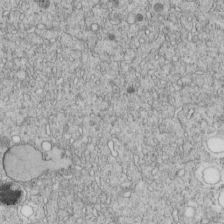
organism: C. elegans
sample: C. elegans embryo early stage